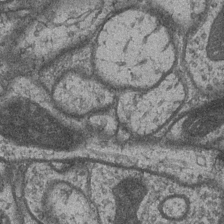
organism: Drosophila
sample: Optic medulla